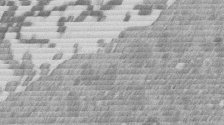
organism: Mouse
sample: Dividing mouse embryo 1 cell stage